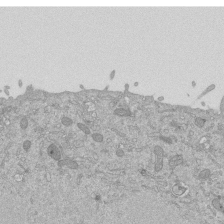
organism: Mouse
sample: ED-1 cell nuclei; centrioles